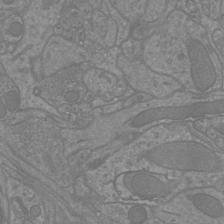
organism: Mouse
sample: Cortical neurons